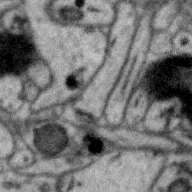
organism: Zebra finch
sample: Brain